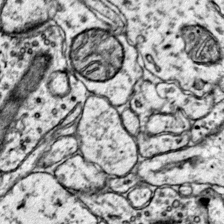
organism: Mouse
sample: Primary visual cortex